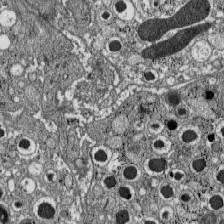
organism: C57BL Mouse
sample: Pancreatic islet